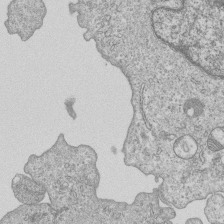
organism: Human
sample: MDA-MB-231 cells